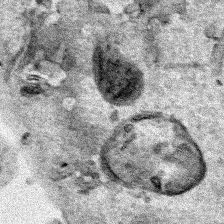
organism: Human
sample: Mitochondria in HCT116 cells